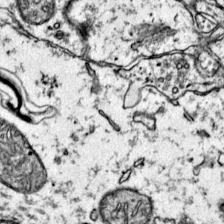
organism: Mouse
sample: Primary visual cortex